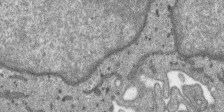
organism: Human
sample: Lung epithelial cells infected with SARS-CoV-2